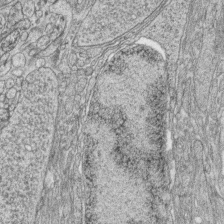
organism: Zebrafish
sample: synaptic ribbons in rod cells and cone cells